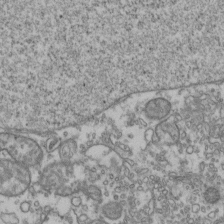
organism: Human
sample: Activated Jurkat CD4+ T cells